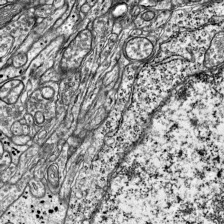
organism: Mouse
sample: Visual Cortex